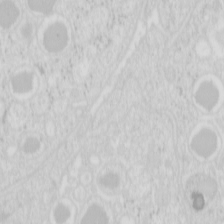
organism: Mouse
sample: Pancreas